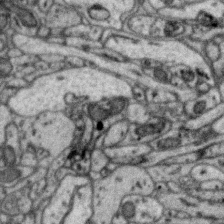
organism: Zebra finch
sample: Brain